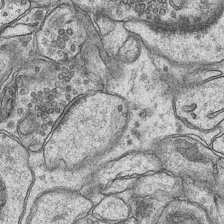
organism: Mouse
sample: CA1 Hippocampus